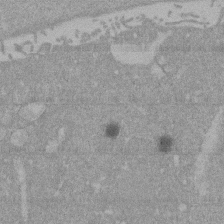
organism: Mouse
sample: ED-1 cell nuclei; centrioles